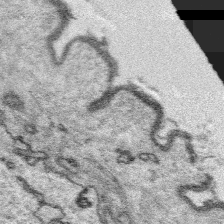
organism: Platynereis dumerilii